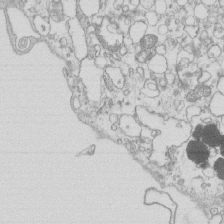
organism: Mouse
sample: Macrophages